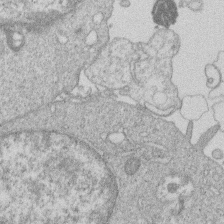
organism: Human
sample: Macrophage cells